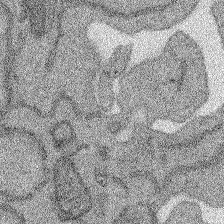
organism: Human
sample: HeLa cells